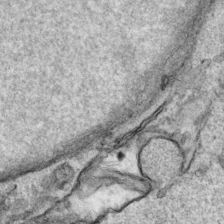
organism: Human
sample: Mitochondria in HCT116 cells